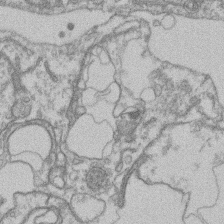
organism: Mouse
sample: T cell stromal cell synapse